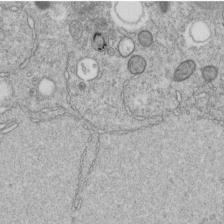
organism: C. elegans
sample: C. elegans embryo early stage